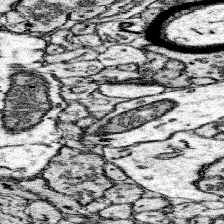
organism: Mouse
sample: Somatosensory cortex neuropil